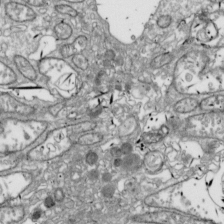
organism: Drosophila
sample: Cell division; meiosis; drosophila spermatocytes